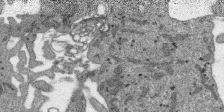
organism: Human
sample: Lung epithelial cells infected with SARS-CoV-2